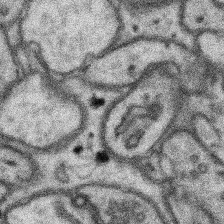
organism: Mouse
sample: Somatosensory cortex neuropil